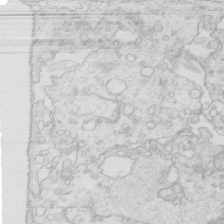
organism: Mouse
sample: Multiciliated cells